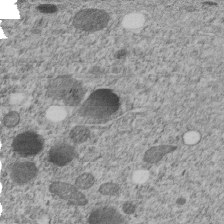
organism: C. elegans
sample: C. elegans embryo early stage